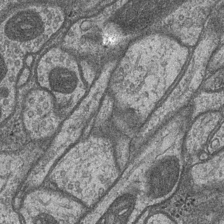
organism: Drosophila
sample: Optic medulla